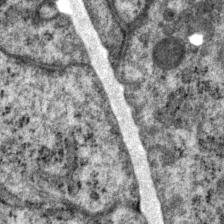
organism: P. pacificus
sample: Pharynx